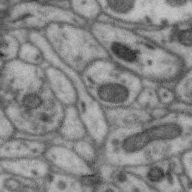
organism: Zebra finch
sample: Brain